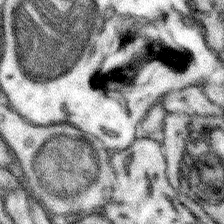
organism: Mouse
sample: Somatosensory cortex neuropil